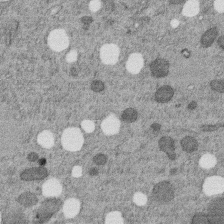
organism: C. elegans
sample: C. elegans embryo early stage